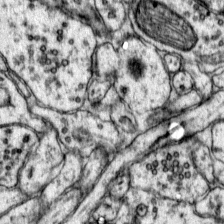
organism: Mouse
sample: Primary visual cortex